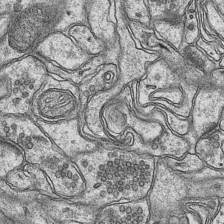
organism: Mouse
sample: CA1 Hippocampus